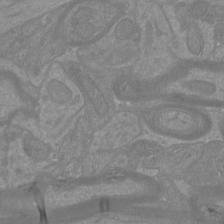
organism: Mouse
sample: Cortical neurons